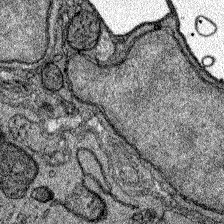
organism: Zebrafish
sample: Larval olfactory bulb